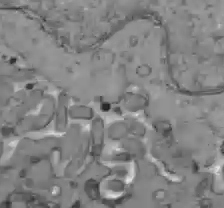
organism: C57BL Mouse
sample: Liver